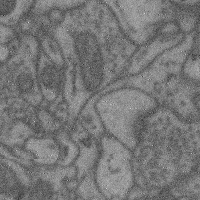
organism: Mouse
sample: Cerebral cortex